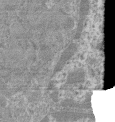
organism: Mouse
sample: Glomerulus